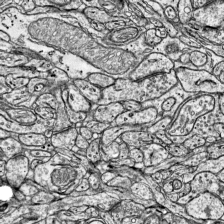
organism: Mouse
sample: Visual Cortex